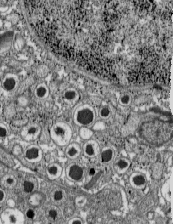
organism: C57BL Mouse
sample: Pancreatic islet